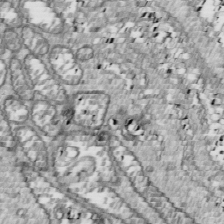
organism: Drosophila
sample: Cell division; meiosis; drosophila spermatocytes